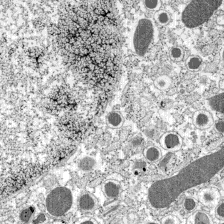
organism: C57BL Mouse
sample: Pancreatic islet